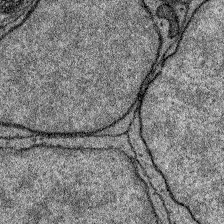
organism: Zebrafish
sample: Larval olfactory bulb